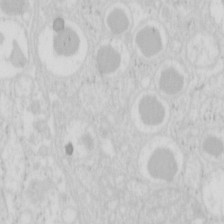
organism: Mouse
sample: Pancreas